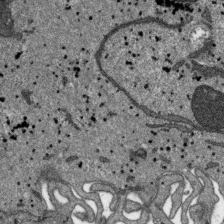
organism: Human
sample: Lung epithelial cells, uninfected (mock) control